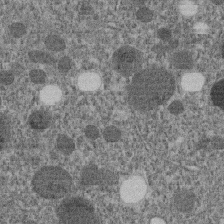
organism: C. elegans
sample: C. elegans embryo early stage